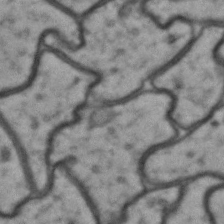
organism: Drosophila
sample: Brain